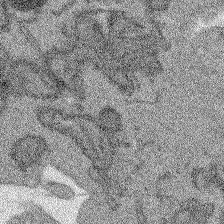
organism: Human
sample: HeLa cells